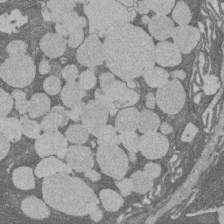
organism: Rat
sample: Salivary granule